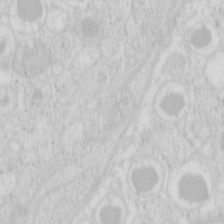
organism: Mouse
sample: Pancreas